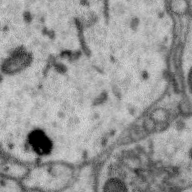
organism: Zebra finch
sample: Brain